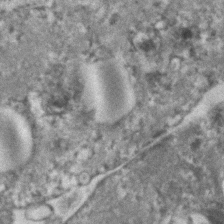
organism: Human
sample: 1205lu cells